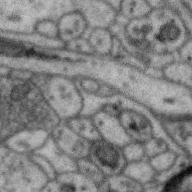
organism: Zebra finch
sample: Brain